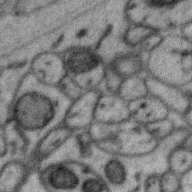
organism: Zebra finch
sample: Brain